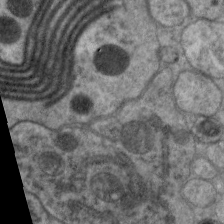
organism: C. elegans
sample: Pharynx